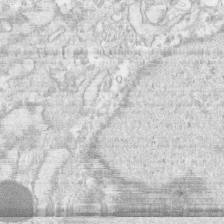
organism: Human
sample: CRL-1474